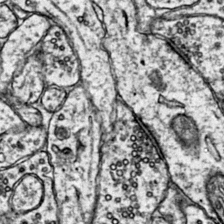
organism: Mouse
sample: Primary visual cortex